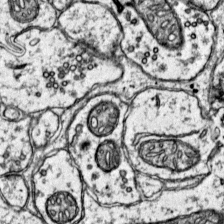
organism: Mouse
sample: Primary visual cortex